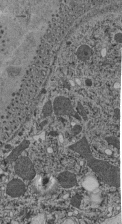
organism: C. elegans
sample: C. elegans pharynx